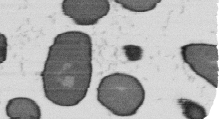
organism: B. subtilis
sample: Bacterial spore